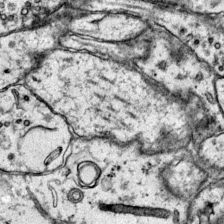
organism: Mouse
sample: Primary visual cortex